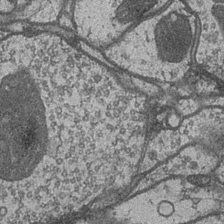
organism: Drosophila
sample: Optic medulla